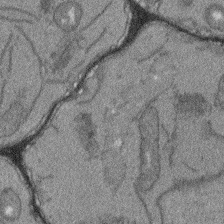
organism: Arabidopsis thaliana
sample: Root tip